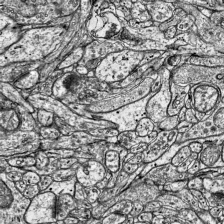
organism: Mouse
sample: Visual Cortex